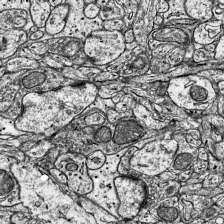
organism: Mouse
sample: Visual Cortex